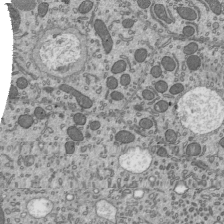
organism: Mouse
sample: Mouse epididymis efferent ductule cilia